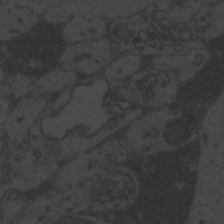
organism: Zebrafish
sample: Macrophage infected with Toxoplasma gondii